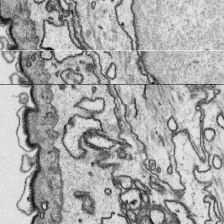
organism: Platynereis dumerilii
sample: Parapodia